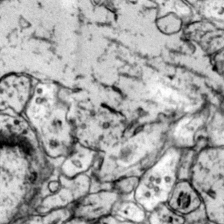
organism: Mouse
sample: Primary visual cortex